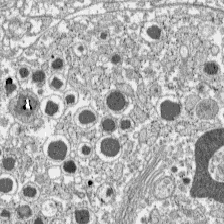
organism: C57BL Mouse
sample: Pancreatic islet